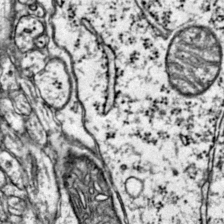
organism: Mouse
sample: Primary visual cortex